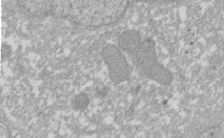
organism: Xenopus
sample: Cilia; centrioles in frog embryo cells